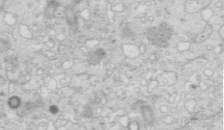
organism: Mouse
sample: Multiciliated cells